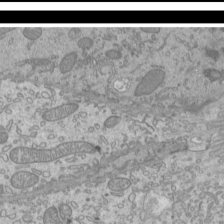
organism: Mouse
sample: Cilia; mouse epididymis